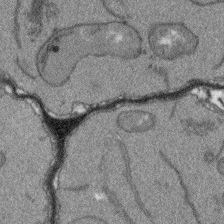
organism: Arabidopsis thaliana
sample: Root tip